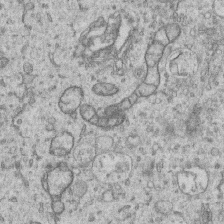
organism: Human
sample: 1205lu cells